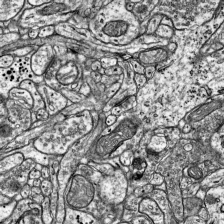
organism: Mouse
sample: Visual Cortex